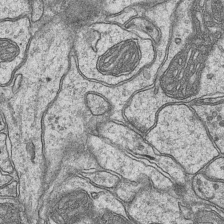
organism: Mouse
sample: CA1 Hippocampus